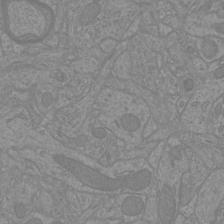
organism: Mouse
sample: Cortical neurons